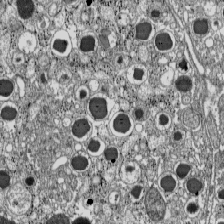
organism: C57BL Mouse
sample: Pancreatic islet